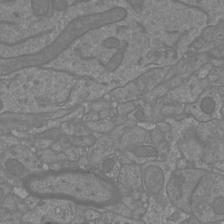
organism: Mouse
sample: Cortical neurons